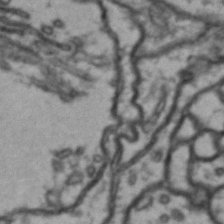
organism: Drosophila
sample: Brain